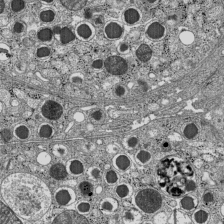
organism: C57BL Mouse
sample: Pancreatic islet